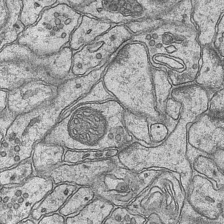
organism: Mouse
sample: CA1 Hippocampus